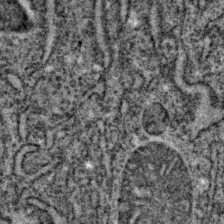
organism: C. elegans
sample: C. elegans embryo